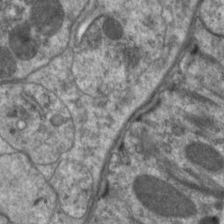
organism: C. elegans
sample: Pharynx